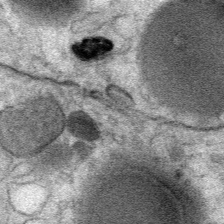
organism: Mouse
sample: Mouse Salivary gland